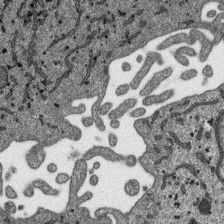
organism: Human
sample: Lung epithelial cells infected with SARS-CoV-2